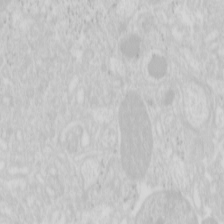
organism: Mouse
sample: Pancreas